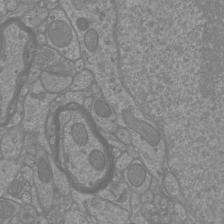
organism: Mouse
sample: Cortical neurons